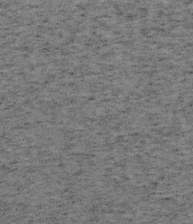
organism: Mouse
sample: OT-I killer T cells with ID8 ovarian cancer cells